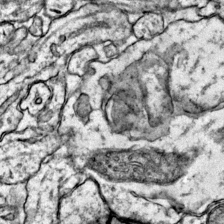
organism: Mouse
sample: Primary visual cortex